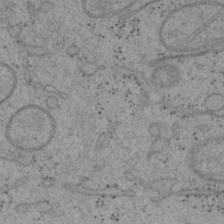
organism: Human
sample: HeLa cells